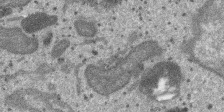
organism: Human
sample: Lung epithelial cells infected with SARS-CoV-2